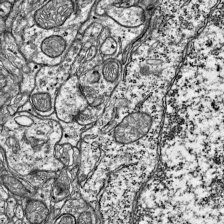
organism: Mouse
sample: Visual Cortex